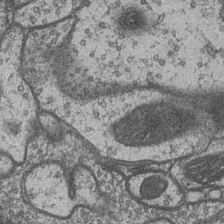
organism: Drosophila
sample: Optic medulla